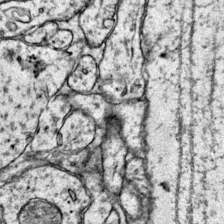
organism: Mouse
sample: Primary visual cortex